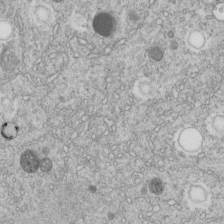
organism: C. elegans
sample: C. elegans embryo early stage